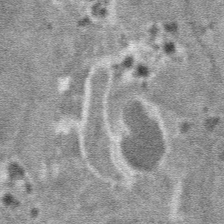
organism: Mouse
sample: Mouse hepatocytes